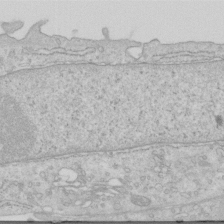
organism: Human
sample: Centriole in RPE cells